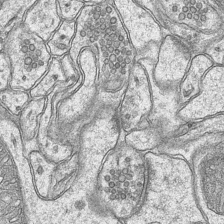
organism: Mouse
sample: CA1 Hippocampus